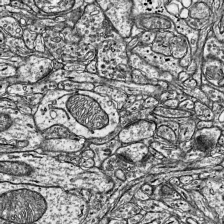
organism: Mouse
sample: Visual Cortex